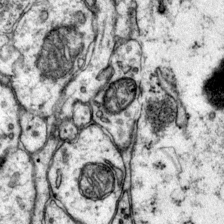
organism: Mouse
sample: Primary visual cortex